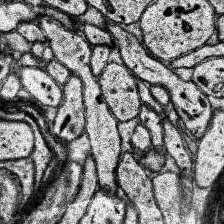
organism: Human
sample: Temporal Lobe